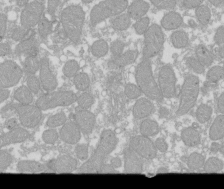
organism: Xenopus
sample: Cilia; centrioles in frog embryo cells